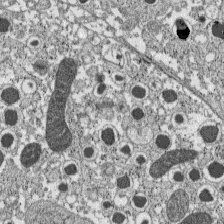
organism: C57BL Mouse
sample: Pancreatic islet